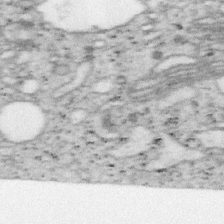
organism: Mouse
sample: OT-I killer T cells with ID8 ovarian cancer cells